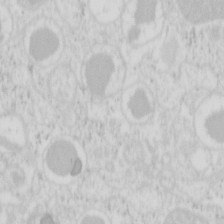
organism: Mouse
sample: Pancreas